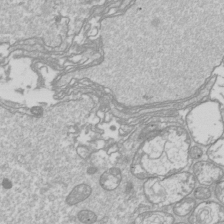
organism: Drosophila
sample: Cell division; meiosis; drosophila spermatocytes